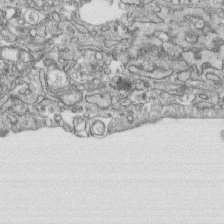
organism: Human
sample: CRL-1474